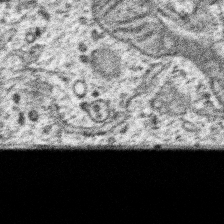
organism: Human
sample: HeLa cells